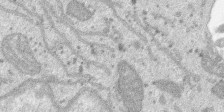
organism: Human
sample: Lung epithelial cells infected with SARS-CoV-2